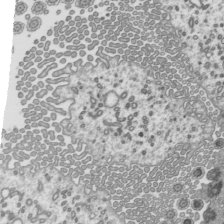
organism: Mouse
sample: Mouse epididymis efferent ductule cilia